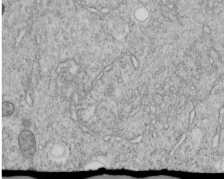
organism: C. elegans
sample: C. elegans embryo early stage